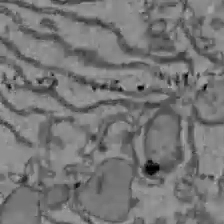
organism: C57BL Mouse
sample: Liver